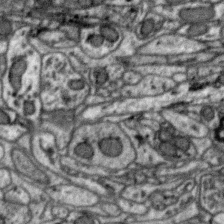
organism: Zebra finch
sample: Brain